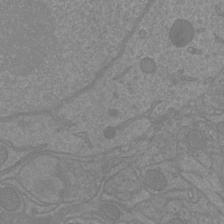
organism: Mouse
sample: Cortical neurons